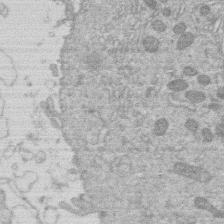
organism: Human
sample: Macrophage cells